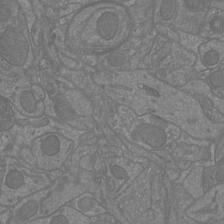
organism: Mouse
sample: Cortical neurons